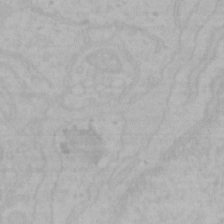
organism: Mouse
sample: Choroid plexus